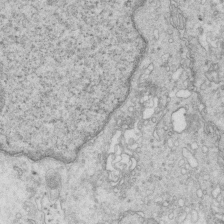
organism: Mouse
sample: Multiciliated cells